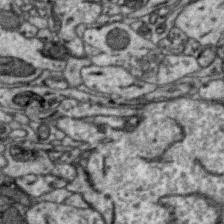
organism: Zebra finch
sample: Brain